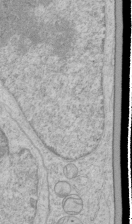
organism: Human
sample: Mitochondria in HCT116 cells